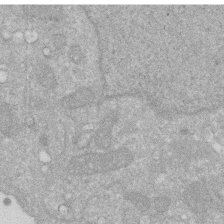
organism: Human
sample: HIV infected U937 cells